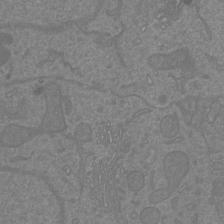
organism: Mouse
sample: Cortical neurons